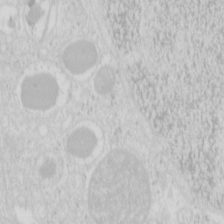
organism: Mouse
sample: Pancreas